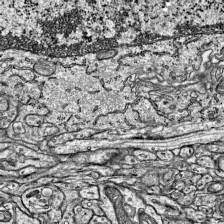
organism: Mouse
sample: Visual Cortex